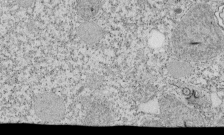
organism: Tetrahymena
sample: Cilia in tetrahymena